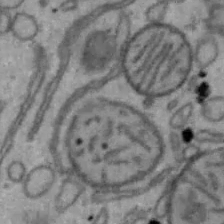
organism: Mouse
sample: Liver